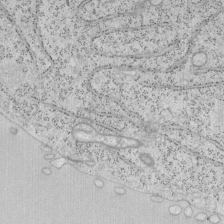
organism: Mouse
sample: OT-I killer T cells with ID8 ovarian cancer cells